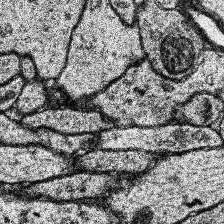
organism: Human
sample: Temporal Lobe